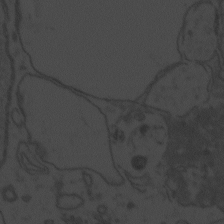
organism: Zebrafish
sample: Macrophage infected with Toxoplasma gondii